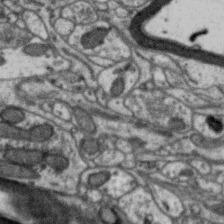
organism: Zebra finch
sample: Brain